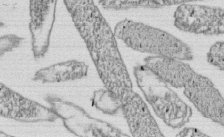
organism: E. coli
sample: Bacterial nucleoid